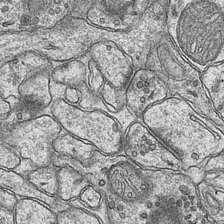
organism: Mouse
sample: CA1 Hippocampus